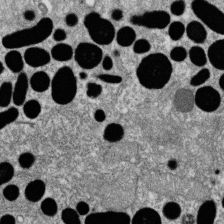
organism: Zebrafish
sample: Cilia; retinal pigment epithelium